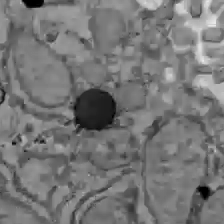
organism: C57BL Mouse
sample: Liver